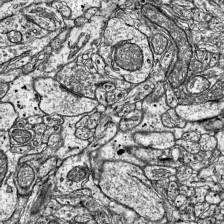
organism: Mouse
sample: Visual Cortex